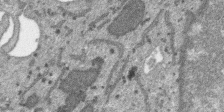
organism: Human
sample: Lung epithelial cells infected with SARS-CoV-2